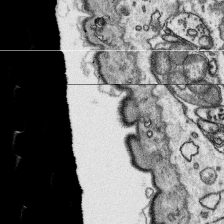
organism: Platynereis dumerilii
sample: Parapodia